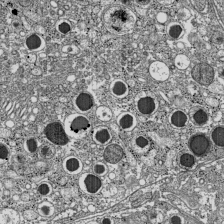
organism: C57BL Mouse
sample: Pancreatic islet